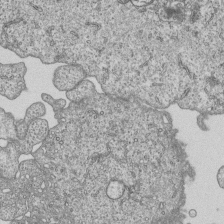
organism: Human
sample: MDA-MB-231 cells